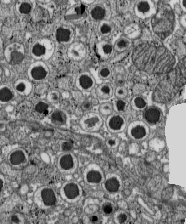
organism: C57BL Mouse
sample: Pancreatic islet